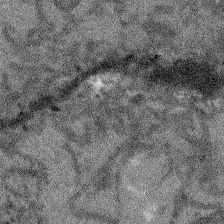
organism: Arabidopsis thaliana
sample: Root tip